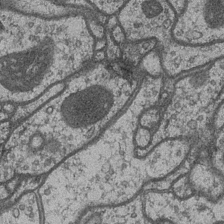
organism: Drosophila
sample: Optic medulla